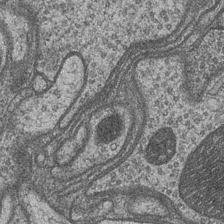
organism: Drosophila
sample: Optic medulla